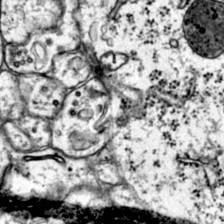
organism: Mouse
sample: Primary visual cortex